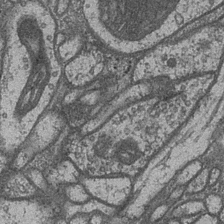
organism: Drosophila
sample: Optic medulla